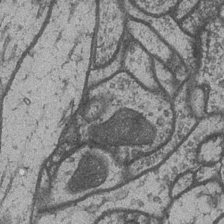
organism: Drosophila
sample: Optic medulla